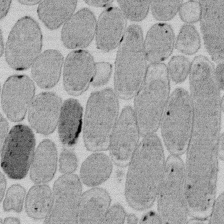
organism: E. coli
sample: Bacterial nucleoid